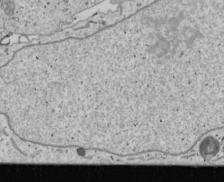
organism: Human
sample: Mitochondria in U2OS cells